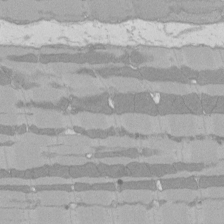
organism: Rat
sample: Left ventricle